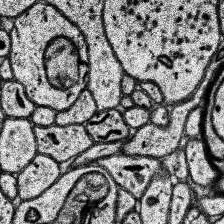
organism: Human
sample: Temporal Lobe